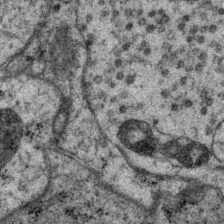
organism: P. pacificus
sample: Pharynx